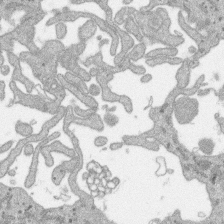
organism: Human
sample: Lung epithelial cells infected with SARS-CoV-2